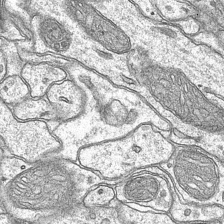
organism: Mouse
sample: CA1 Hippocampus